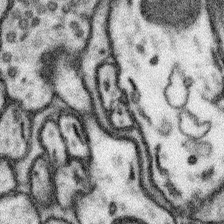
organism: Mouse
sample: Somatosensory cortex neuropil